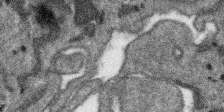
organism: Human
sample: Lung epithelial cells infected with SARS-CoV-2